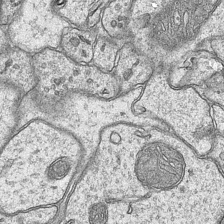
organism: Mouse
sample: CA1 Hippocampus